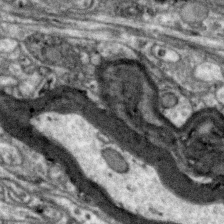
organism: Zebra finch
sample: Brain